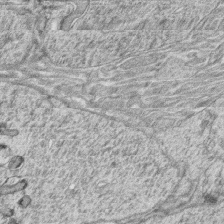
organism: Zebrafish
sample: synaptic ribbons in rod cells and cone cells